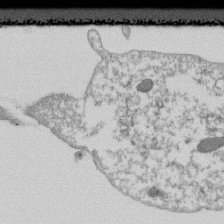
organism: Dictyostelium discoideum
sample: Dictyostelium multivesicular bodies